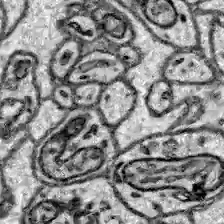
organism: Zebrafish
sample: Brain